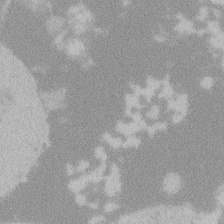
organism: Zebrafish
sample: Macrophage infected with Toxoplasma gondii